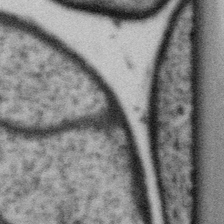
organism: Gemmata obscuriglobus